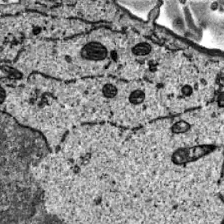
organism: Human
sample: HeLa cells